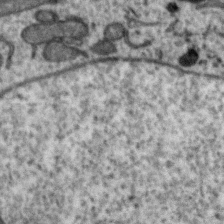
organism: Zebra finch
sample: Brain